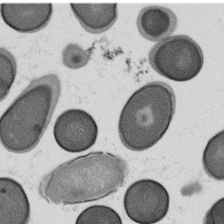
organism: B. subtilis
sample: Bacterial spore